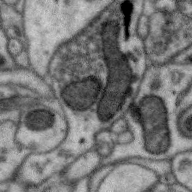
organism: Zebra finch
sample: Brain